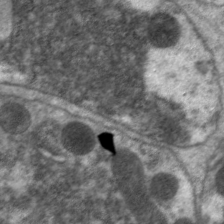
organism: C. elegans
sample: Pharynx